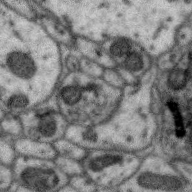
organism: Zebra finch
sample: Brain